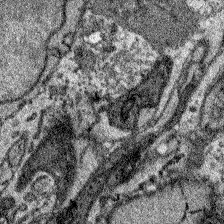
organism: Zebrafish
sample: Larval olfactory bulb